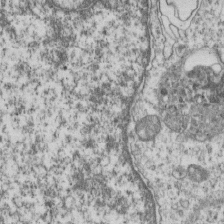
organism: Human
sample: MDA-MB-231 cells